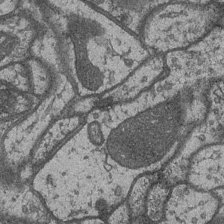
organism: Drosophila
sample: Optic medulla